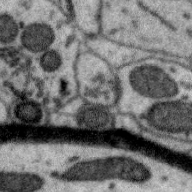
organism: Zebra finch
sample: Brain